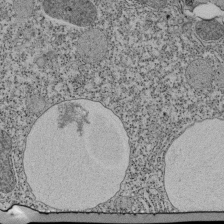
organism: Tetrahymena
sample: Cilia in tetrahymena